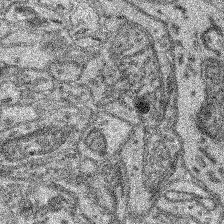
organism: Mouse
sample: Retina